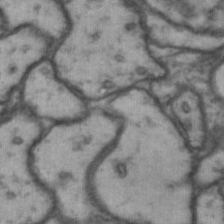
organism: Drosophila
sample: Brain